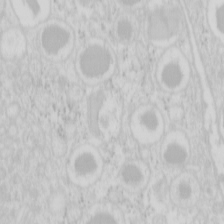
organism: Mouse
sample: Pancreas